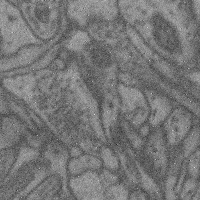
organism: Mouse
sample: Cerebral cortex